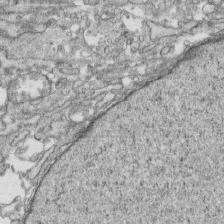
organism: Human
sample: CRL-1474